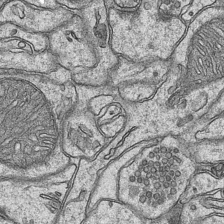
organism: Mouse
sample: CA1 Hippocampus